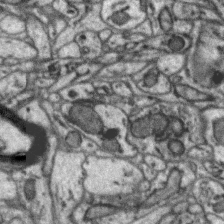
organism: Zebra finch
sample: Brain